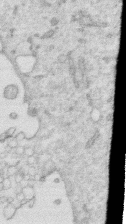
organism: Human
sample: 1205lu cells